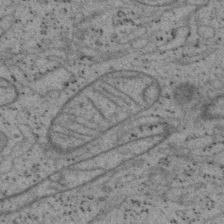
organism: Human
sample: HeLa cells